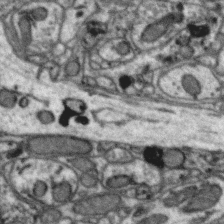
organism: Zebra finch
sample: Brain